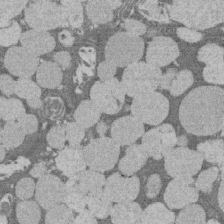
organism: Rat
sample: Salivary granule